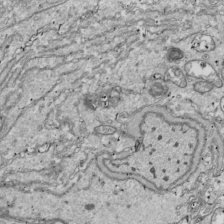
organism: Drosophila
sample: Cell division; meiosis; drosophila spermatocytes